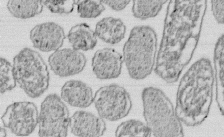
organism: E. coli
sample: Bacterial nucleoid